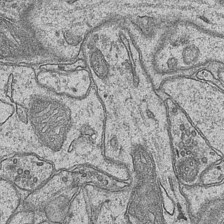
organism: Mouse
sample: CA1 Hippocampus